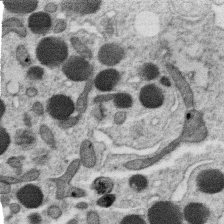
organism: C. elegans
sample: C. elegans oocyte; sperm cells